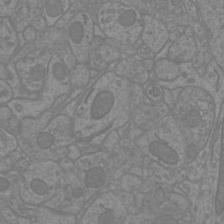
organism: Mouse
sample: Cortical neurons